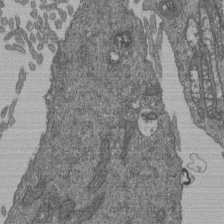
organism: Human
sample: Retinal organoid Rod and Cone cells